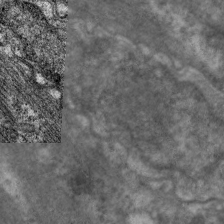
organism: C. elegans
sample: Pharynx